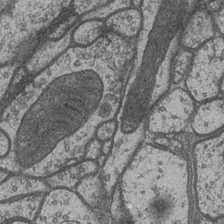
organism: Drosophila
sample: Optic medulla